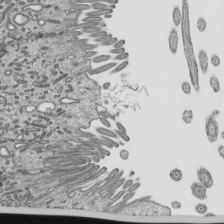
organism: Mouse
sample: Mouse epididymis efferent ductule cilia